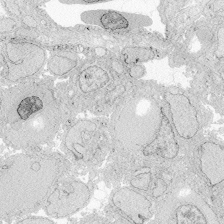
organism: Zebrafish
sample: Whole-Brain